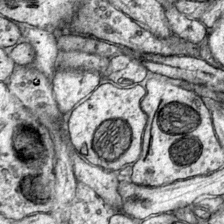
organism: Mouse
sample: Primary visual cortex